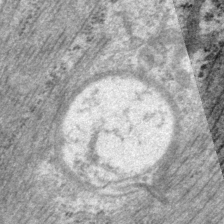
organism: P. pacificus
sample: Pharynx